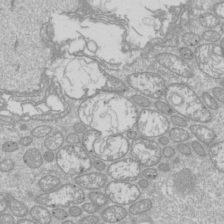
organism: Drosophila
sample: Cell division; meiosis; drosophila spermatocytes